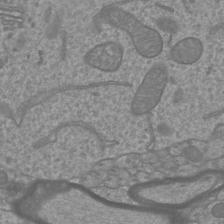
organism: Mouse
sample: Cortical neurons